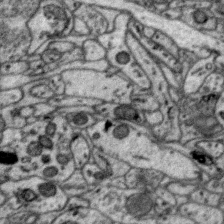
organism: Zebra finch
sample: Brain